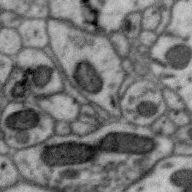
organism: Zebra finch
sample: Brain